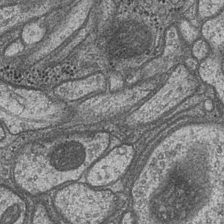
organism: Drosophila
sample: Optic medulla